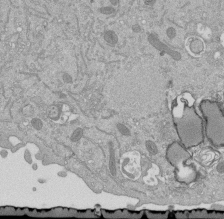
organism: Mouse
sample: ED-1 cell nuclei; centrioles